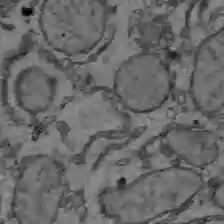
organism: C57BL Mouse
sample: Liver